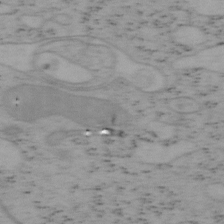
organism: Mouse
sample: OT-I killer T cells with ID8 ovarian cancer cells